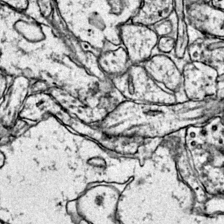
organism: Mouse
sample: Primary visual cortex